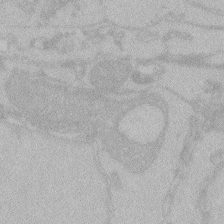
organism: Zebrafish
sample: Macrophage infected with Toxoplasma gondii